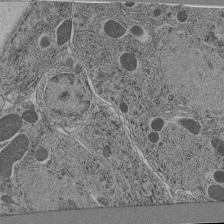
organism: C. elegans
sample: C. elegans pharynx